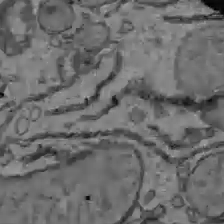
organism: C57BL Mouse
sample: Liver